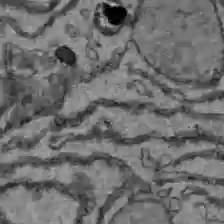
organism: C57BL Mouse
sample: Liver